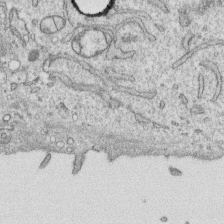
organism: Human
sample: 1205lu cells